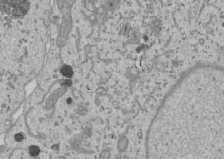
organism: Human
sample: Mitochondria in U2OS cells